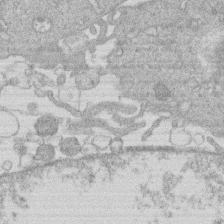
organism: Human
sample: Macrophage cells